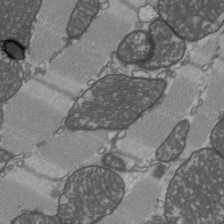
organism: C57BL Mouse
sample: Heart